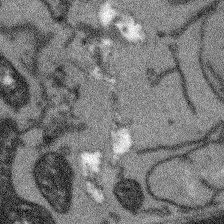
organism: Arabidopsis thaliana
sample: Root tip